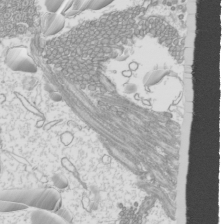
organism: Mouse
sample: Cilia; mouse epididymis